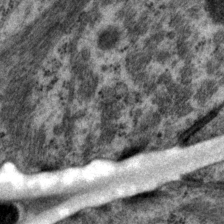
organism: P. pacificus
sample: Pharynx